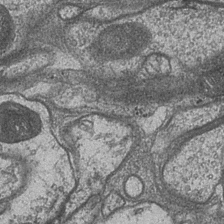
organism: Drosophila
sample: Optic medulla